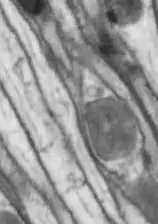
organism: Drosophila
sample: Optic lobe